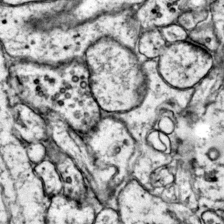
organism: Mouse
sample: Primary visual cortex